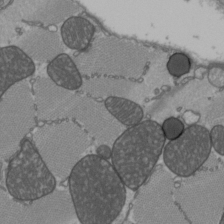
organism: C57BL Mouse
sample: Heart